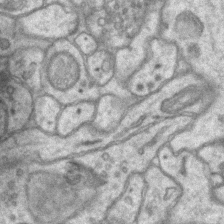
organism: Mouse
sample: CA1 Hippocampus